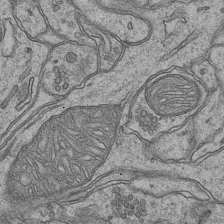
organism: Mouse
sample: CA1 Hippocampus